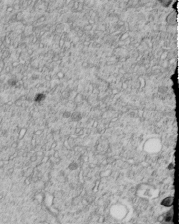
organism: C. elegans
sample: C. elegans embryo early stage